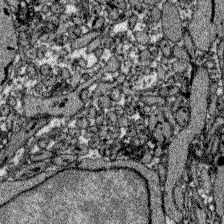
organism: Zebrafish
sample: Larval olfactory bulb